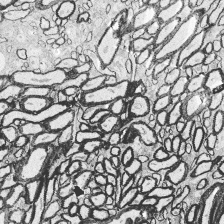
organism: Zebrafish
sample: Whole-Brain